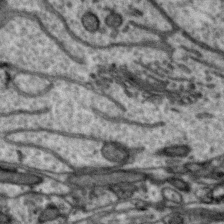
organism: Zebra finch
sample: Brain